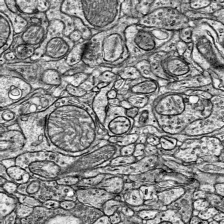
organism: Mouse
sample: Visual Cortex